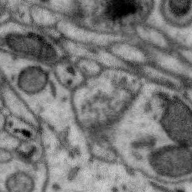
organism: Zebra finch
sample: Brain